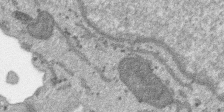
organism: Human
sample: Lung epithelial cells infected with SARS-CoV-2